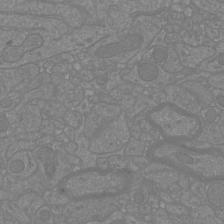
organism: Mouse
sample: Cortical neurons